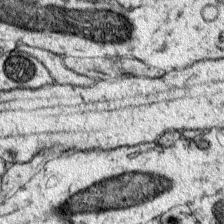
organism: Mouse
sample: Primary visual cortex